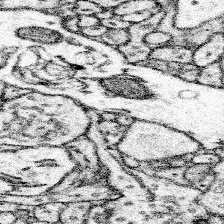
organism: Mouse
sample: Somatosensory cortex neuropil